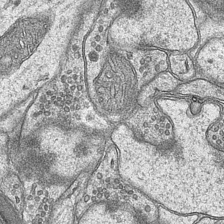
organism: Mouse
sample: CA1 Hippocampus